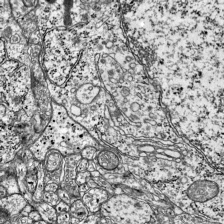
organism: Mouse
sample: Visual Cortex